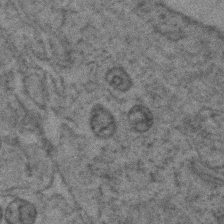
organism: Zebrafish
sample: Zebrafish embryo